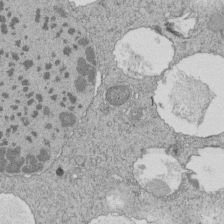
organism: Tetrahymena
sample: Cilia in tetrahymena